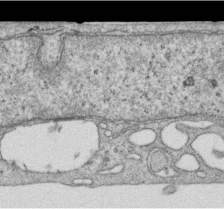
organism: Human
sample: Centriole in RPE cells